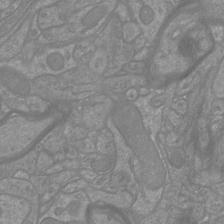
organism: Mouse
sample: Cortical neurons